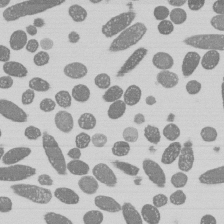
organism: E. coli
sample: Bacterial nucleoid